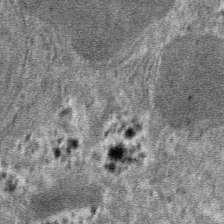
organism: Mouse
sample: Mouse hepatocytes